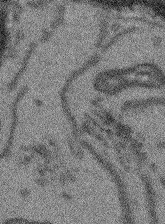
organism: Arabidopsis thaliana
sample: Root tip